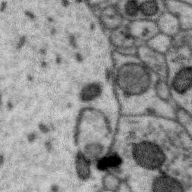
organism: Zebra finch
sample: Brain